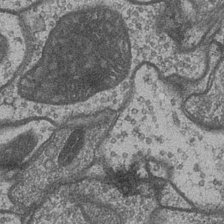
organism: Drosophila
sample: Optic medulla